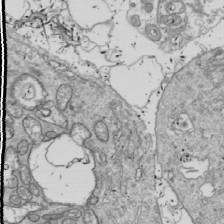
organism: Drosophila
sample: Cell division; meiosis; drosophila spermatocytes